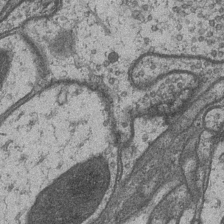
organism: Drosophila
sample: Optic medulla